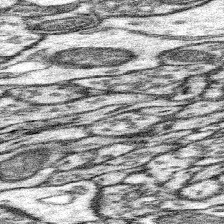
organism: Mouse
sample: Somatosensory cortex neuropil